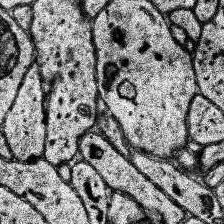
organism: Human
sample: Temporal Lobe